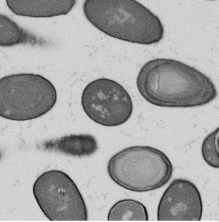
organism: B. subtilis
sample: Bacterial spore